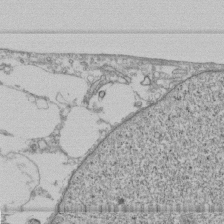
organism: Human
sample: Fibroblast cells